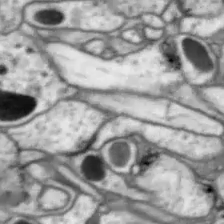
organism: Drosophila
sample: Optic lobe